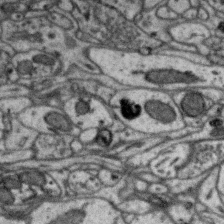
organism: Zebra finch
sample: Brain